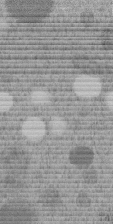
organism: C. elegans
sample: C. elegans embryo early stage